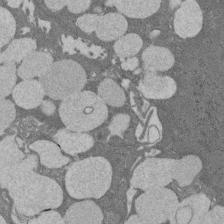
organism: Rat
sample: Salivary granule